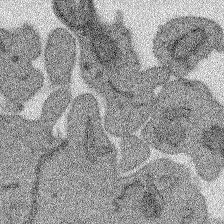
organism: Human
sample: HeLa cells